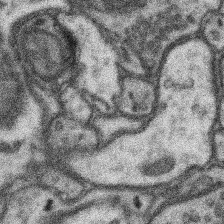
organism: Mouse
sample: Somatosensory cortex neuropil